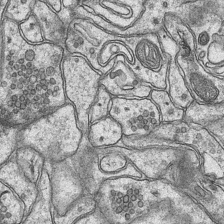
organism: Mouse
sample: CA1 Hippocampus